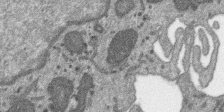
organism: Human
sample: Lung epithelial cells infected with SARS-CoV-2